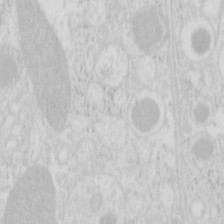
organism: Mouse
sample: Pancreas